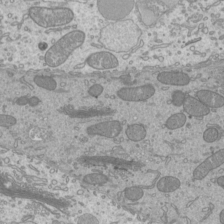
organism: Mouse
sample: Cilia; mouse epididymis